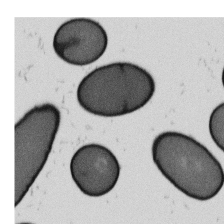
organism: B. subtilis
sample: Bacterial spore